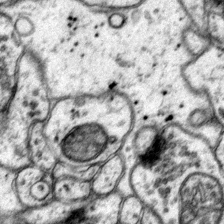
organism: Mouse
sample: Primary visual cortex